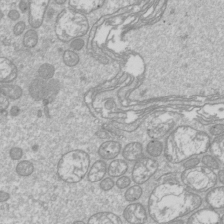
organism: Drosophila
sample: Cell division; meiosis; drosophila spermatocytes